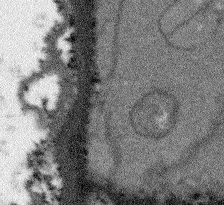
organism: Arabidopsis thaliana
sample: Root tip